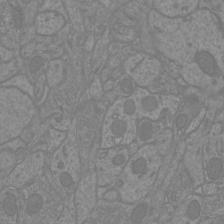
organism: Mouse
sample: Cortical neurons